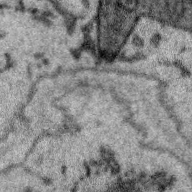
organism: Zebra finch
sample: Brain